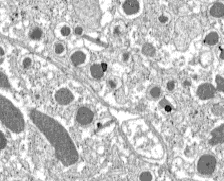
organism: C57BL Mouse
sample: Pancreatic islet